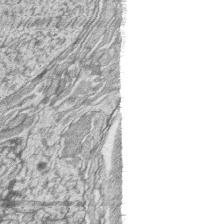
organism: Zebrafish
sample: synaptic ribbons in rod cells and cone cells